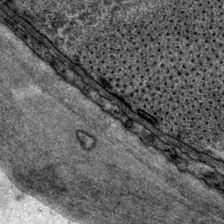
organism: P. pacificus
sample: Pharynx